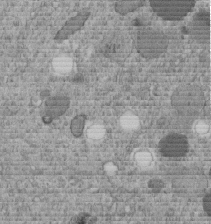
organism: C. elegans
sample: C. elegans embryo early stage